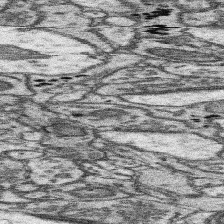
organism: Mouse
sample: Somatosensory cortex neuropil